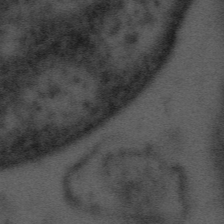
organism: Tuwongella immobilis